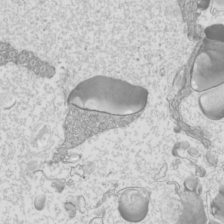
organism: Mouse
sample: Cilia; mouse epididymis